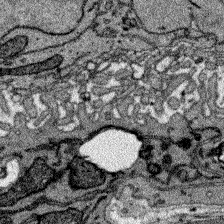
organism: Zebrafish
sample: Larval olfactory bulb